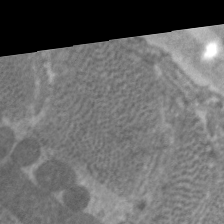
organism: C. elegans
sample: Pharynx